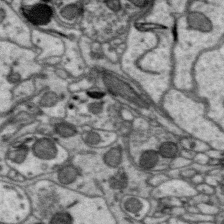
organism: Zebra finch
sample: Brain